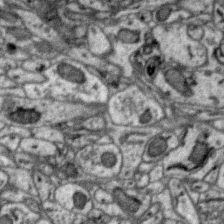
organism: Zebra finch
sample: Brain